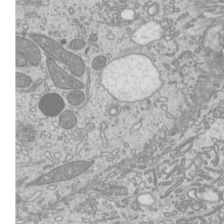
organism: Mouse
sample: Cilia; mouse epididymis